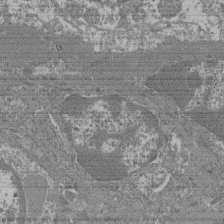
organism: Mouse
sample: Glomerulus